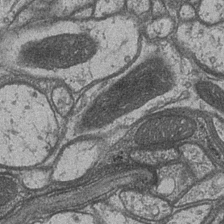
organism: Drosophila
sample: Optic medulla